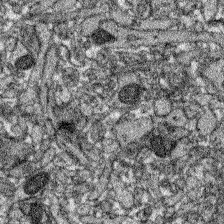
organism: Zebrafish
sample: Larval olfactory bulb